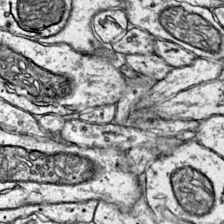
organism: Mouse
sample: Primary visual cortex